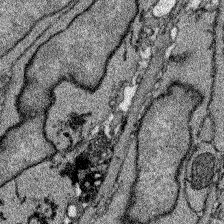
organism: Zebrafish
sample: Larval olfactory bulb